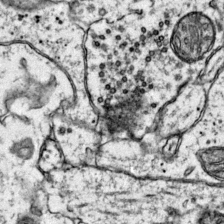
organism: Mouse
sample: Primary visual cortex